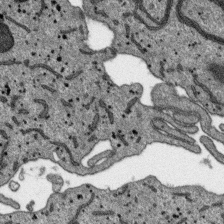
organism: Human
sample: Lung epithelial cells, uninfected (mock) control